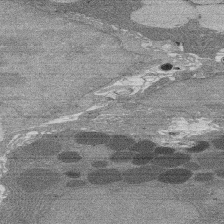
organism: Rat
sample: Salivary granule